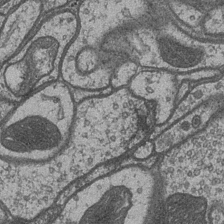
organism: Drosophila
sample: Optic medulla